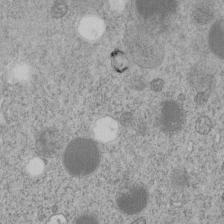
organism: C. elegans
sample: C. elegans embryo early stage